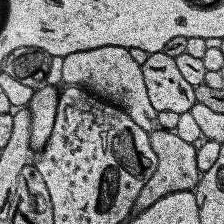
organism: Human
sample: Temporal Lobe